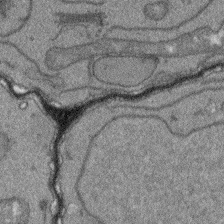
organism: Arabidopsis thaliana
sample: Root tip